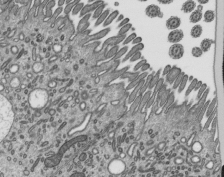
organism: Mouse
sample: Mouse epididymis efferent ductule cilia